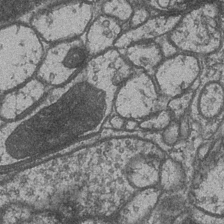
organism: Drosophila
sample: Optic medulla